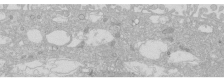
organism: Human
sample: Caco-2 cells